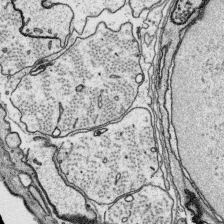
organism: Platynereis dumerilii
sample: Parapodia